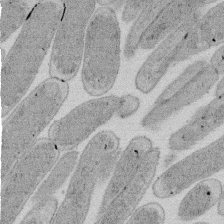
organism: E. coli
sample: Bacterial nucleoid